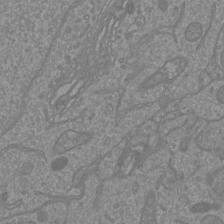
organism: Mouse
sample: Cortical neurons